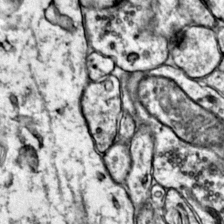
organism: Mouse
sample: Primary visual cortex